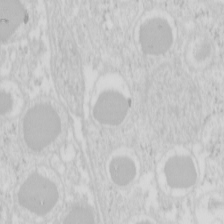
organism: Mouse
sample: Pancreas